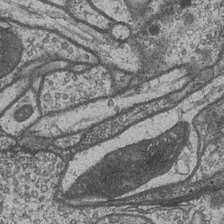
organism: Drosophila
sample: Optic medulla